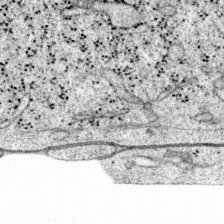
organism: Human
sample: HeLa cells